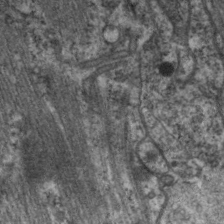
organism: C. elegans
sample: Pharynx